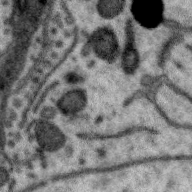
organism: Zebra finch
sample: Brain